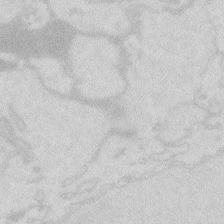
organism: Zebrafish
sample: Macrophage